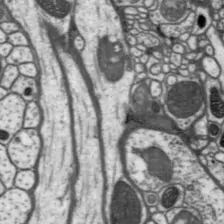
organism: Drosophila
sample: Protocerebral bridge